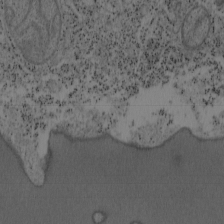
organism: Mouse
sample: OT-I killer T cells with ID8 ovarian cancer cells